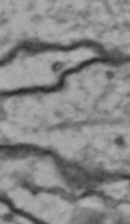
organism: Drosophila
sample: Brain